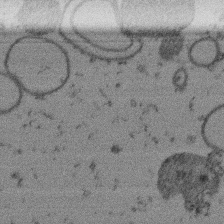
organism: Mouse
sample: Dividing mouse embryo 1 cell stage